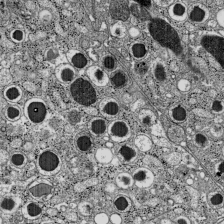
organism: C57BL Mouse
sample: Pancreatic islet